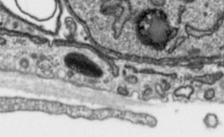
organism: Toxoplasma gondii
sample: Parasites in a vacuole inside a host cell